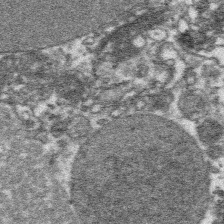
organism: Platynereis dumerilii